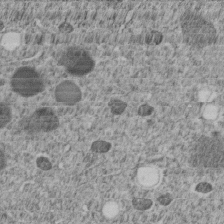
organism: C. elegans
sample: C. elegans embryo early stage